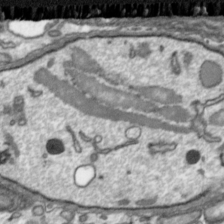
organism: Toxoplasma gondii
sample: Parasites in a vacuole inside a host cell